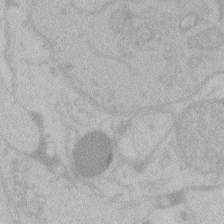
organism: Zebrafish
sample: Macrophage infected with Toxoplasma gondii